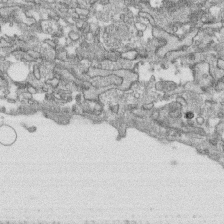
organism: Human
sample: CRL-1474